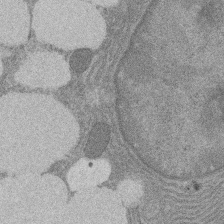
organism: Rat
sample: Salivary granule